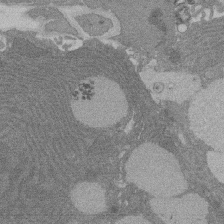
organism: Rat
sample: Salivary granule